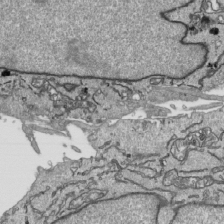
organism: Human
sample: Mitochondria in HCT116 cells